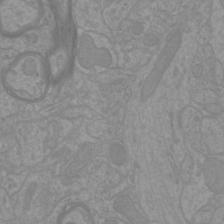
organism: Mouse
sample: Cortical neurons